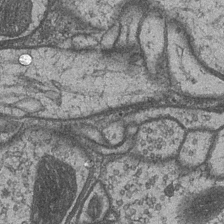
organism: Drosophila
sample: Optic medulla